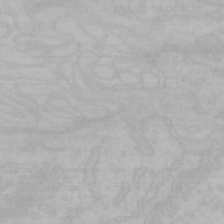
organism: Mouse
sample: Choroid plexus